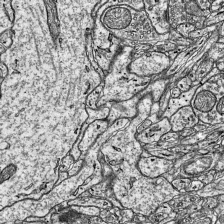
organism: Mouse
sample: Visual Cortex